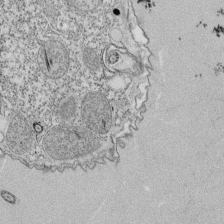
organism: Tetrahymena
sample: Cilia in tetrahymena